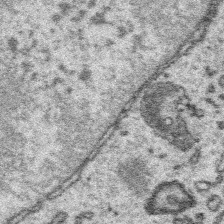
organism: Platynereis dumerilii